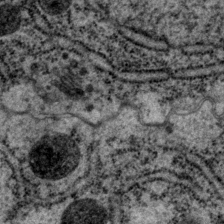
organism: P. pacificus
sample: Pharynx